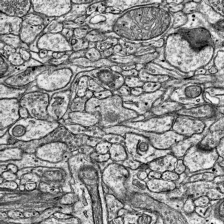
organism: Mouse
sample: Visual Cortex